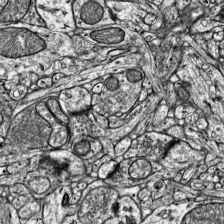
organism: Mouse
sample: Visual Cortex